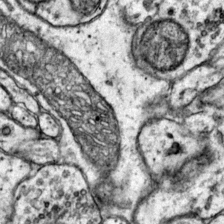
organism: Mouse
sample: Primary visual cortex